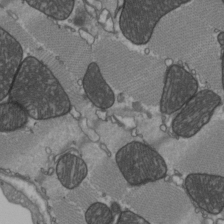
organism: C57BL Mouse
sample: Heart